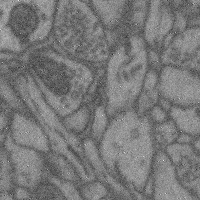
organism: Mouse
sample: Cerebral cortex